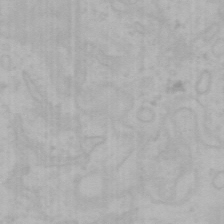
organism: Mouse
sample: Choroid plexus